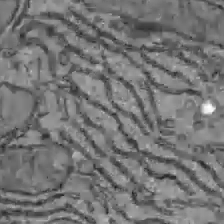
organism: C57BL Mouse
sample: Liver